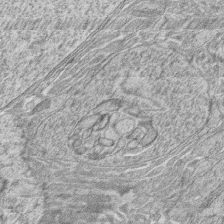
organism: Zebrafish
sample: synaptic ribbons in rod cells and cone cells